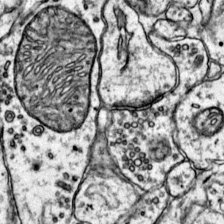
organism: Mouse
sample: Primary visual cortex